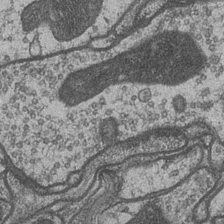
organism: Drosophila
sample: Optic medulla